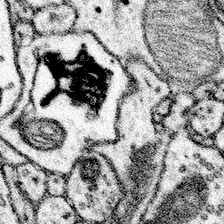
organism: Mouse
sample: Somatosensory cortex neuropil